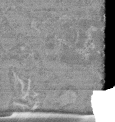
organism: Mouse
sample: Glomerulus